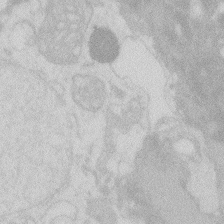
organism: Zebrafish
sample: Macrophage